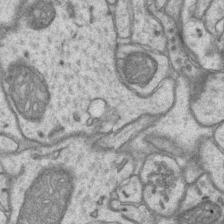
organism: Mouse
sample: CA1 Hippocampus